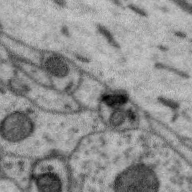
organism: Zebra finch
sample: Brain